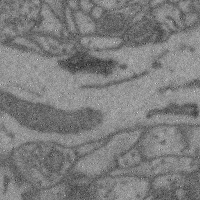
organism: Mouse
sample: Cerebral cortex